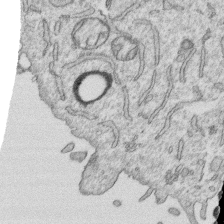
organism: Human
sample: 1205lu cells